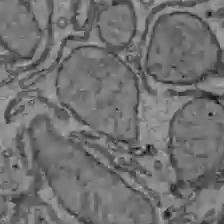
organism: C57BL Mouse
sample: Liver